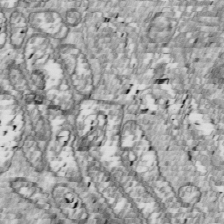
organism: Drosophila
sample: Cell division; meiosis; drosophila spermatocytes